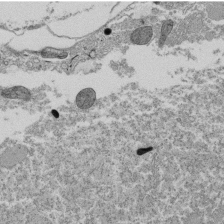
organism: Tetrahymena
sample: Cilia in tetrahymena